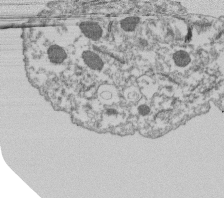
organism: Dictyostelium discoideum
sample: Dictyostelium multivesicular bodies